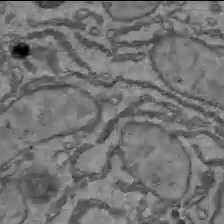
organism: C57BL Mouse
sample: Liver